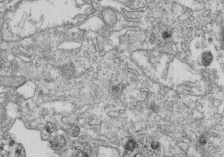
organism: Human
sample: HeLa cell HIV synapse